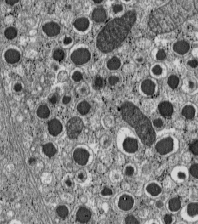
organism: C57BL Mouse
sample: Pancreatic islet